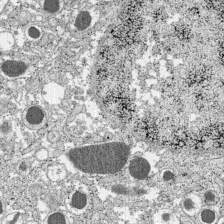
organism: C57BL Mouse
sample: Pancreatic islet